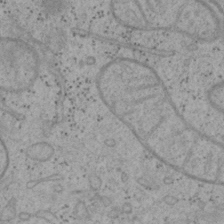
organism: Human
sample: HeLa cells